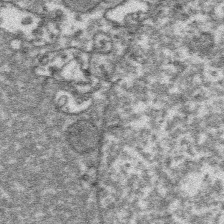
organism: Platynereis dumerilii